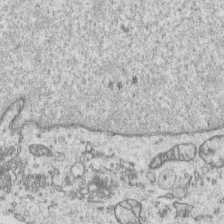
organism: Human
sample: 1205lu cells